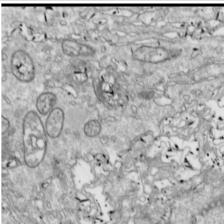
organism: Drosophila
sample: Cell division; meiosis; drosophila spermatocytes